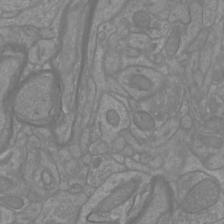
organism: Mouse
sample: Cortical neurons